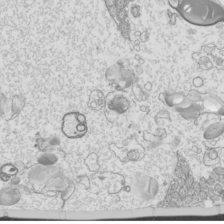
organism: Mouse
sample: Cilia; mouse epididymis